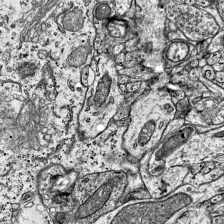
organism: Mouse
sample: Visual Cortex